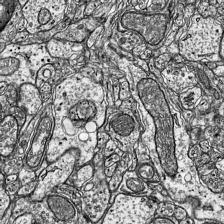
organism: Mouse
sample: Visual Cortex